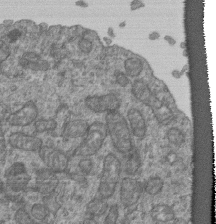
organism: Human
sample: Retinal organoid Rod and Cone cells